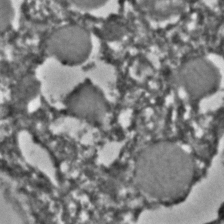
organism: C. elegans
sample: C. elegans embryo